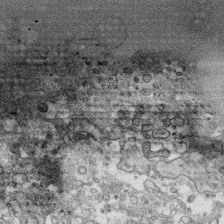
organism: Human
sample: CRL-1474